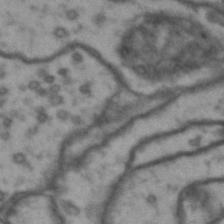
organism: Drosophila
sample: Brain